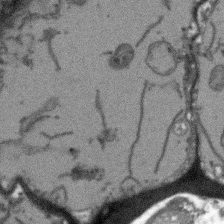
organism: Arabidopsis thaliana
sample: Root tip